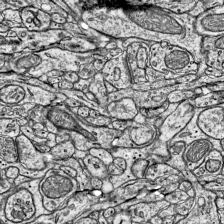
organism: Mouse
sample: Visual Cortex